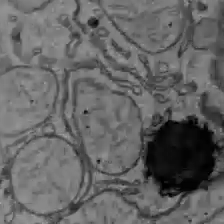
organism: C57BL Mouse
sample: Liver